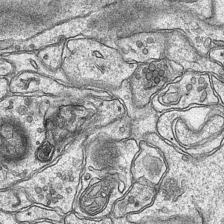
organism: Mouse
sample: CA1 Hippocampus